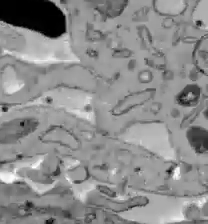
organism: C57BL Mouse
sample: Liver